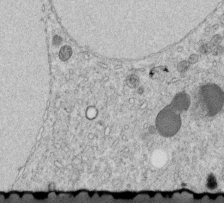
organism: C. elegans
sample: C. elegans embryo early stage